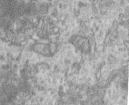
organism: Human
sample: Centriole in RPE cells